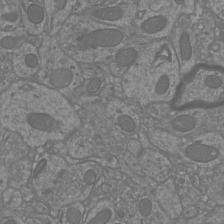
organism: Mouse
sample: Cortical neurons